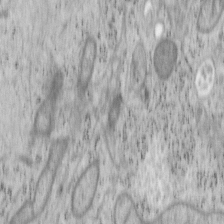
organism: Human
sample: HeLa cells